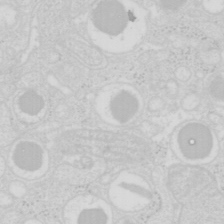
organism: Mouse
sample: Pancreas